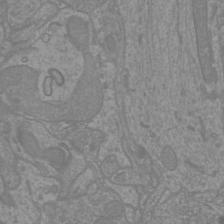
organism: Mouse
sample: Cortical neurons